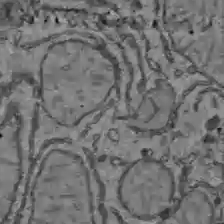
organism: C57BL Mouse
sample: Liver